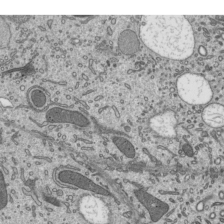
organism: Mouse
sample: Mouse epididymis efferent ductule cilia